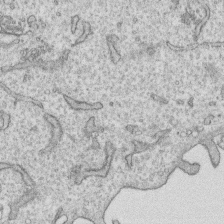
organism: Human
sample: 1205lu cells